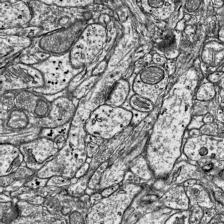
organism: Mouse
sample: Visual Cortex